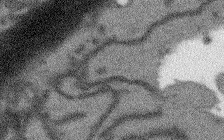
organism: Arabidopsis thaliana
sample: Root tip